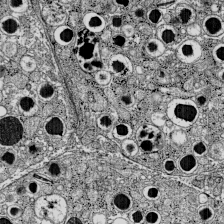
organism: C57BL Mouse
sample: Pancreatic islet